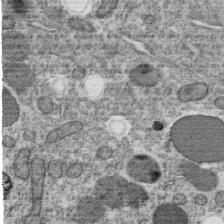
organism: C. elegans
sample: C. elegans oocyte; sperm cells